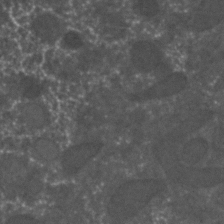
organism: C. elegans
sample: C. elegans embryo